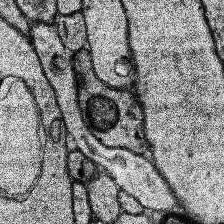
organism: Human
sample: Temporal Lobe